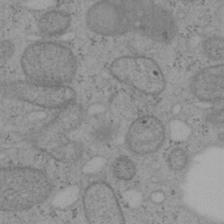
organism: Mouse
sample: OT-I killer T cells with ID8 ovarian cancer cells